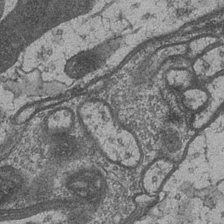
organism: Drosophila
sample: Optic medulla